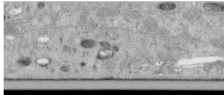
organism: Human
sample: Centriole in RPE cells